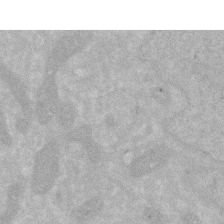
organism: Human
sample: HIV infected U937 cells